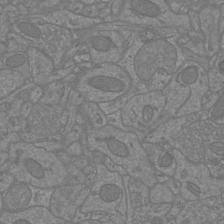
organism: Mouse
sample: Cortical neurons